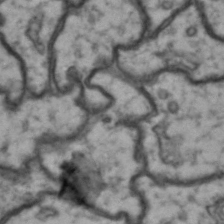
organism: Drosophila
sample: Brain